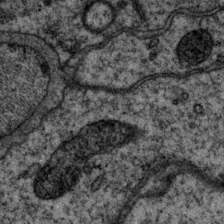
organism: P. pacificus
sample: Pharynx